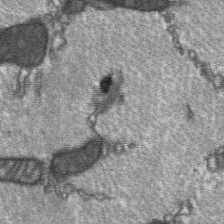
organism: C57BL Mouse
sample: Soleus